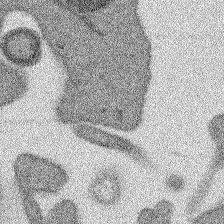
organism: Human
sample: HeLa cells